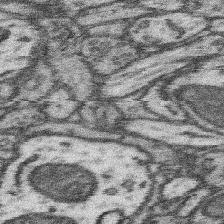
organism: Mouse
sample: Somatosensory cortex neuropil